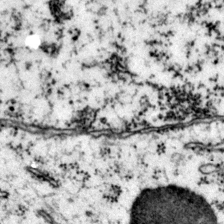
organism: Mouse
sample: Primary visual cortex